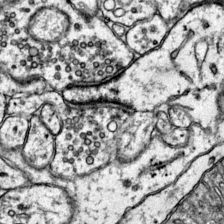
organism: Mouse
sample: Primary visual cortex